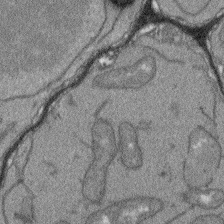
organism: Arabidopsis thaliana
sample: Root tip